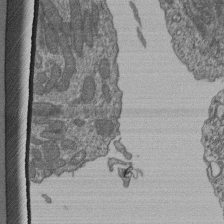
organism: Human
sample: Retinal organoid Rod and Cone cells